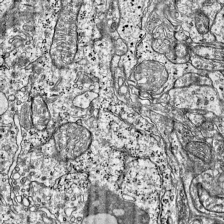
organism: Mouse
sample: Visual Cortex